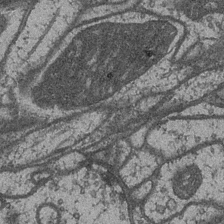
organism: Drosophila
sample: Optic medulla